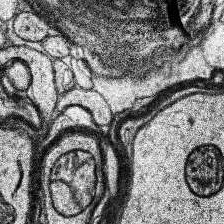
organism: Human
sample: Temporal Lobe